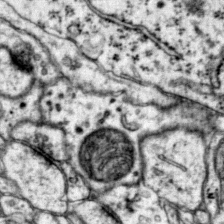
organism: Mouse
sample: Primary visual cortex